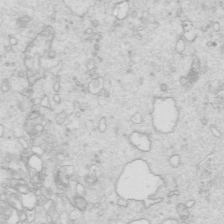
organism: Mouse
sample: Multiciliated cells